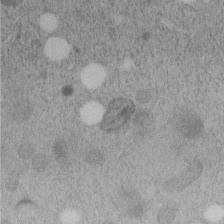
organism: C. elegans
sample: C. elegans embryo early stage